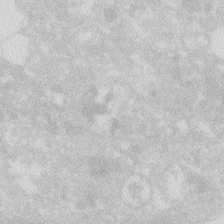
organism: Zebrafish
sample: Macrophage